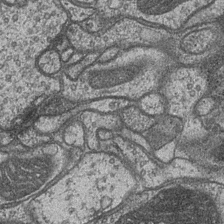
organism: Drosophila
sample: Optic medulla